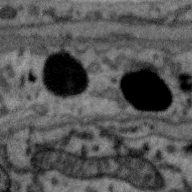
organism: Zebra finch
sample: Brain